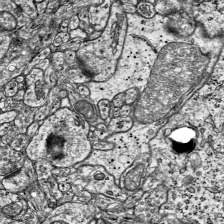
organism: Mouse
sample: Visual Cortex